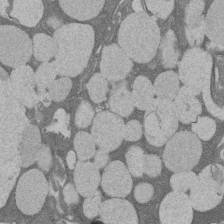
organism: Rat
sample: Salivary granule